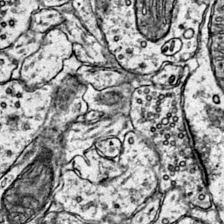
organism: Mouse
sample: Primary visual cortex